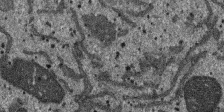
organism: Human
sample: Lung epithelial cells infected with SARS-CoV-2